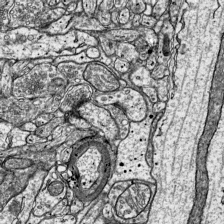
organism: Mouse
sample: Visual Cortex